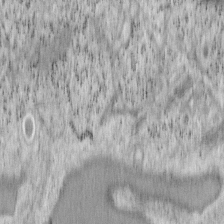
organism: Human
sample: HeLa cells